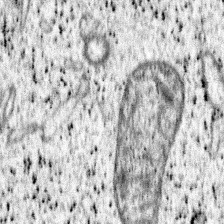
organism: Human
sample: HeLa cells